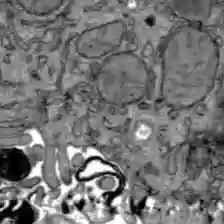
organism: C57BL Mouse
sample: Liver